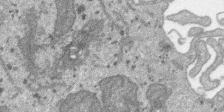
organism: Human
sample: Lung epithelial cells infected with SARS-CoV-2